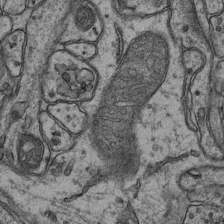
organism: Mouse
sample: CA1 Hippocampus